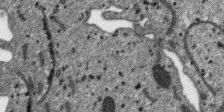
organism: Human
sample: Lung epithelial cells infected with SARS-CoV-2